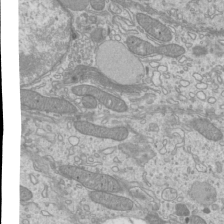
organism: Mouse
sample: Cilia; mouse epididymis